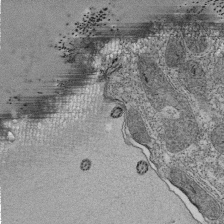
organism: Tetrahymena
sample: Cilia in tetrahymena